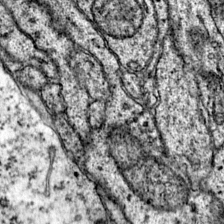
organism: Mouse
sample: Primary visual cortex